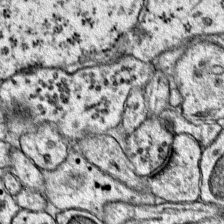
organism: Mouse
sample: Primary visual cortex